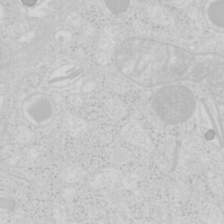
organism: Mouse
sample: Pancreas